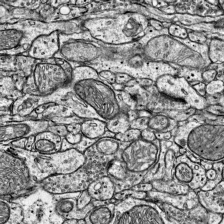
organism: Mouse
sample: Visual Cortex